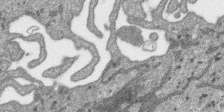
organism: Human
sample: Lung epithelial cells infected with SARS-CoV-2